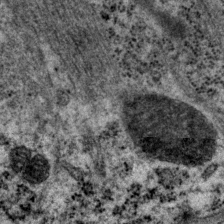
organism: P. pacificus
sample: Pharynx